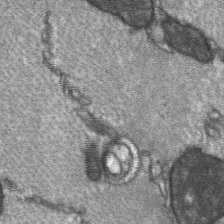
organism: C57BL Mouse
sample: Soleus